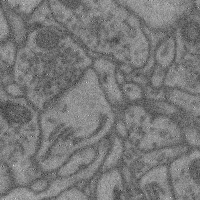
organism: Mouse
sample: Cerebral cortex